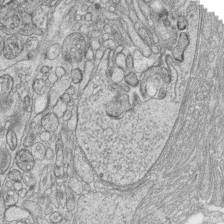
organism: Zebrafish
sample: synaptic ribbons in rod cells and cone cells